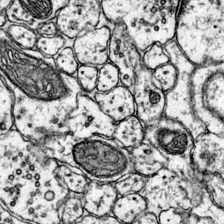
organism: Mouse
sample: Primary visual cortex